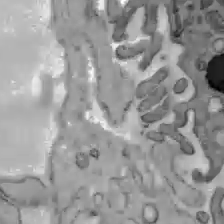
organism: C57BL Mouse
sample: Liver